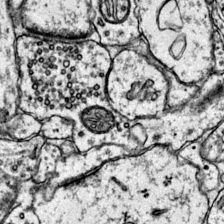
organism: Mouse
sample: Primary visual cortex